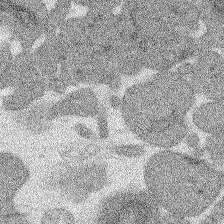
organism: Human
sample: HeLa cells